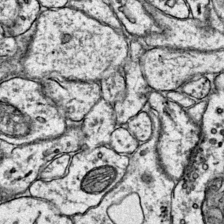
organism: Mouse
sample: Primary visual cortex